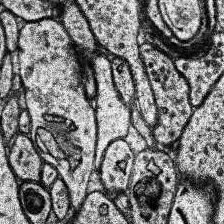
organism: Human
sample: Temporal Lobe